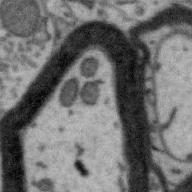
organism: Zebra finch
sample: Brain